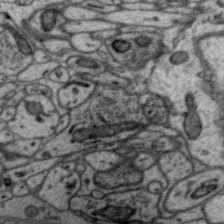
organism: Zebra finch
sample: Brain